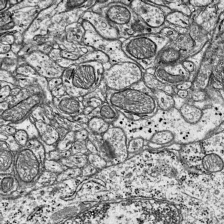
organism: Mouse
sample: Visual Cortex